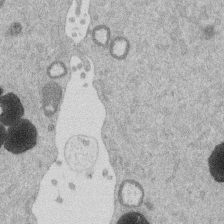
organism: Mouse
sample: Dividing mouse embryo 1 cell stage